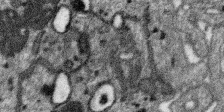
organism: Human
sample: Lung epithelial cells infected with SARS-CoV-2